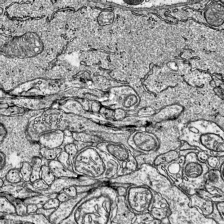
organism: Mouse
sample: Visual Cortex